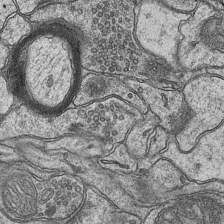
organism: Mouse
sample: CA1 Hippocampus